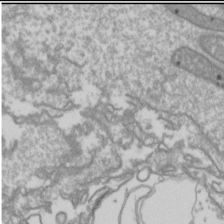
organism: Drosophila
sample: Cell division; meiosis; drosophila spermatocytes